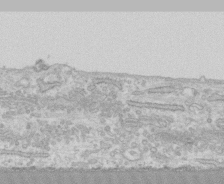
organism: Human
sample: CRL-1474